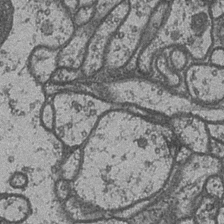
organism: Drosophila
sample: Optic medulla